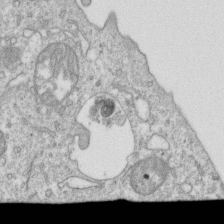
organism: Mouse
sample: Activated OT-1 CD8+ T cells